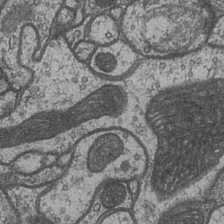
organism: Drosophila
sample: Optic medulla